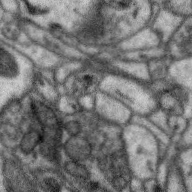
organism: Zebra finch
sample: Brain